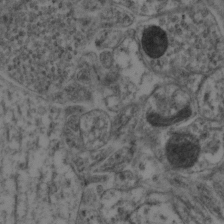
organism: Mouse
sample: Neocortex